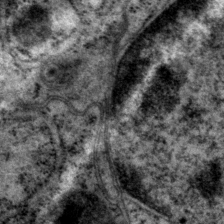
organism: P. pacificus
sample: Pharynx